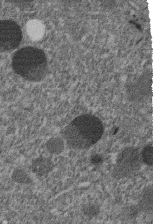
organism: C. elegans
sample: C. elegans embryo early stage